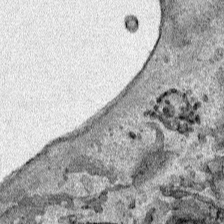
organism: Human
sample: Mitochondria in HCT116 cells